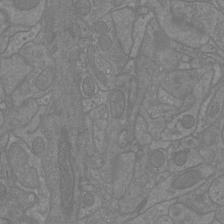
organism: Mouse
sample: Cortical neurons